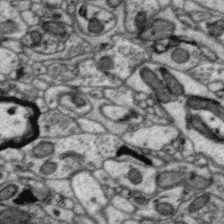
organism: Zebra finch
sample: Brain